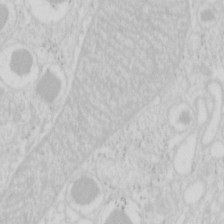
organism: Mouse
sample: Pancreas